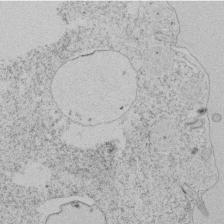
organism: Tetrahymena